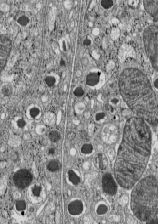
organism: C57BL Mouse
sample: Pancreatic islet